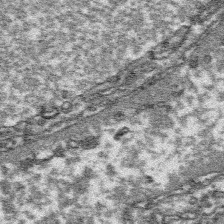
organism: Platynereis dumerilii